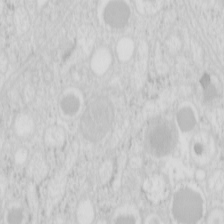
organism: Mouse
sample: Pancreas